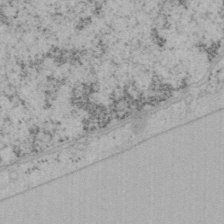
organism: Human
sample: HeLa cells